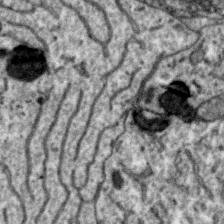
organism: Zebra finch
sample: Brain